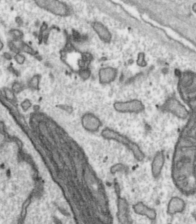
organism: Toxoplasma gondii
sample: Parasites in a vacuole inside a host cell